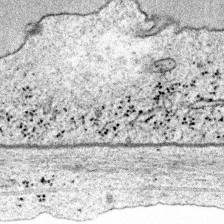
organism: Human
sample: HeLa cells